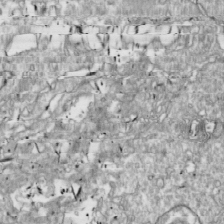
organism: Drosophila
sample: Cell division; meiosis; drosophila spermatocytes